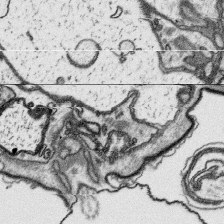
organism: Platynereis dumerilii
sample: Parapodia